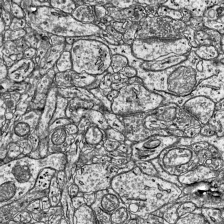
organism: Mouse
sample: Visual Cortex